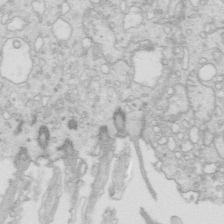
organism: Mouse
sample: Multiciliated cells